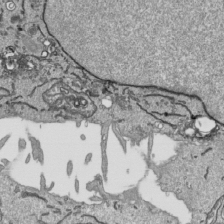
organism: Human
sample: Mitochondria in HCT116 cells